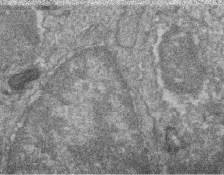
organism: Zebrafish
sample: Cilia; retinal pigment epithelium